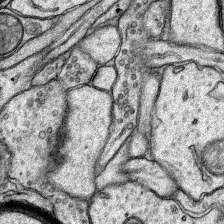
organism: Rat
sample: Hippocampus